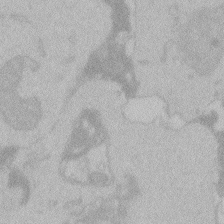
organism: Zebrafish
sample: Macrophage infected with Toxoplasma gondii